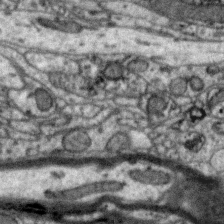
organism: Zebra finch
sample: Brain